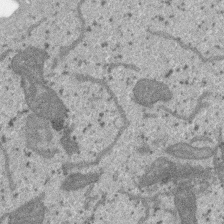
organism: Human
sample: Lung epithelial cells infected with SARS-CoV-2